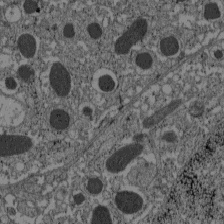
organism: C57BL Mouse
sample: Pancreatic islet